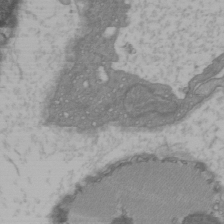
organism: C57BL Mouse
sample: Heart